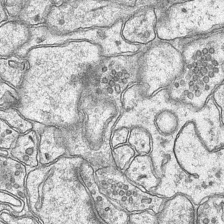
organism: Mouse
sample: CA1 Hippocampus